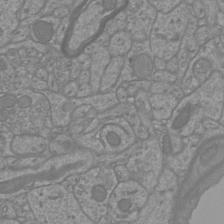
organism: Mouse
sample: Cortical neurons